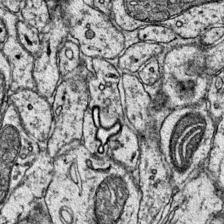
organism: Mouse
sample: Primary visual cortex